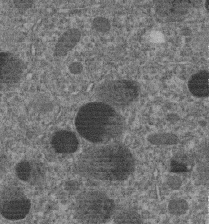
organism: C. elegans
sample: C. elegans embryo early stage